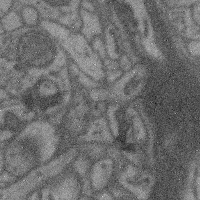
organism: Mouse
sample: Cerebral cortex